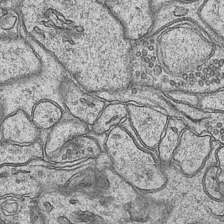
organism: Mouse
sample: CA1 Hippocampus